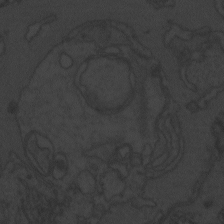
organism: Zebrafish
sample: Macrophage infected with Toxoplasma gondii